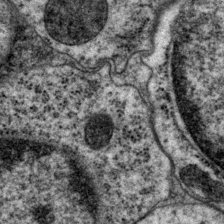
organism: P. pacificus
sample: Pharynx